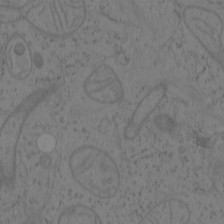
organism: Human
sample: HeLa cells